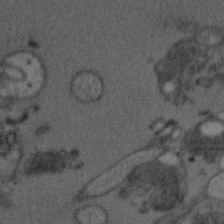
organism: Human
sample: HeLa cells